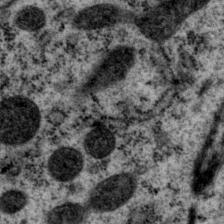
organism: P. pacificus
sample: Pharynx